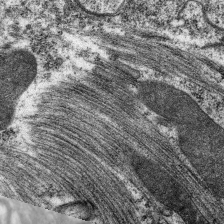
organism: C. elegans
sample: Pharynx